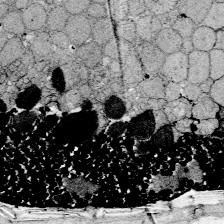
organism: Zebrafish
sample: Whole-Brain